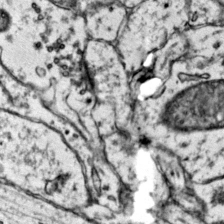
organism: Mouse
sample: Primary visual cortex